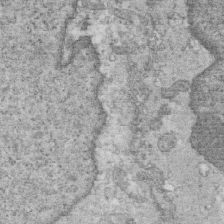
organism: Mouse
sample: Multiciliated cells